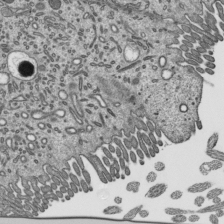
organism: Mouse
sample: Mouse epididymis efferent ductule cilia